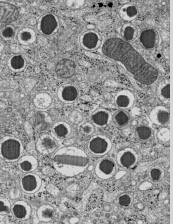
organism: C57BL Mouse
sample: Pancreatic islet